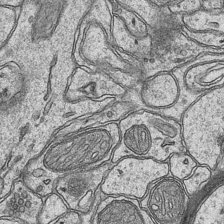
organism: Mouse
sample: CA1 Hippocampus